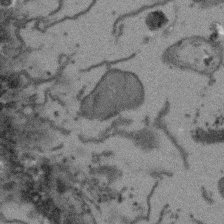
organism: Arabidopsis thaliana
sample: Root tip